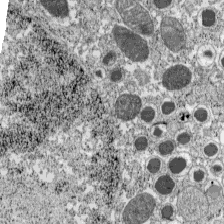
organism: C57BL Mouse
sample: Pancreatic islet